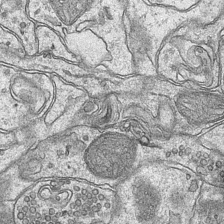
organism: Mouse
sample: CA1 Hippocampus